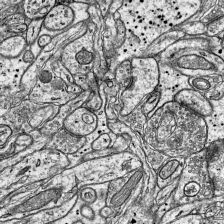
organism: Mouse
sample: Visual Cortex